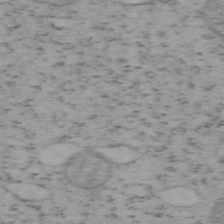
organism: Mouse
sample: OT-I killer T cells with ID8 ovarian cancer cells